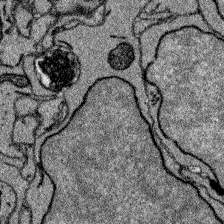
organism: Zebrafish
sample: Larval olfactory bulb